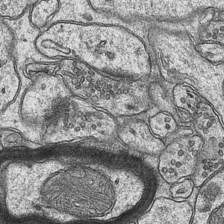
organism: Mouse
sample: CA1 Hippocampus